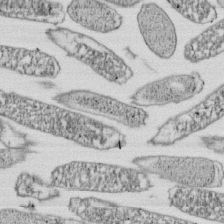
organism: E. coli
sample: Bacterial nucleoid